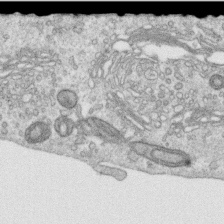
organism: Human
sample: Centriole in RPE cells